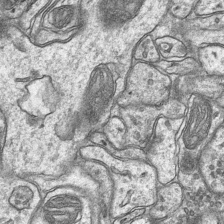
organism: Mouse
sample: CA1 Hippocampus